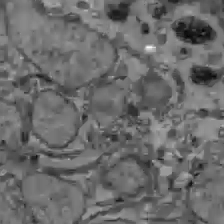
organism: C57BL Mouse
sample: Liver